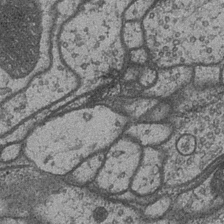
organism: Drosophila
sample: Optic medulla